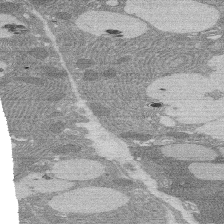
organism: Rat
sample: Salivary granule